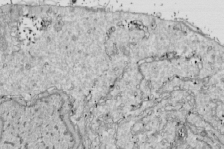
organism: Drosophila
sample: Cell division; meiosis; drosophila spermatocytes